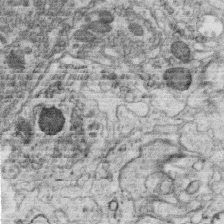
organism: C. elegans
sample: C. elegans oocyte; sperm cells